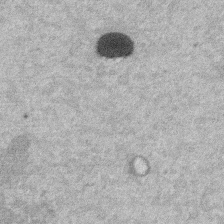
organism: Mouse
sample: Dividing mouse embryo 1 cell stage